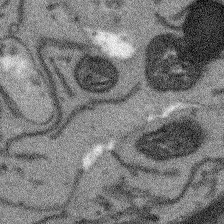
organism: Arabidopsis thaliana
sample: Root tip